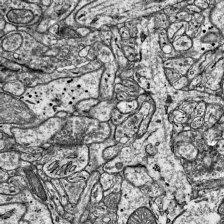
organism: Mouse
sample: Visual Cortex